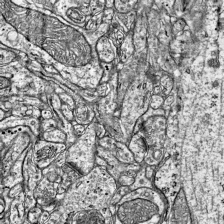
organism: Mouse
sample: Visual Cortex